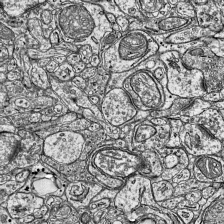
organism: Mouse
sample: Visual Cortex